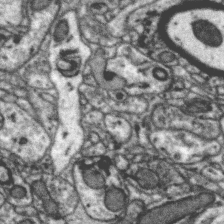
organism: Zebra finch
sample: Brain